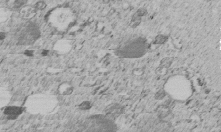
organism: C. elegans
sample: C. elegans embryo early stage